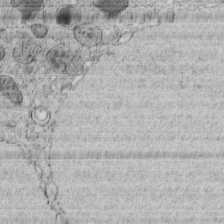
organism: C. elegans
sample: C. elegans embryo early stage